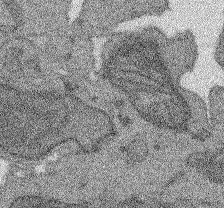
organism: Human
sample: HeLa cells